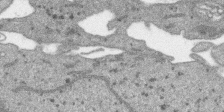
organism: Human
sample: Lung epithelial cells infected with SARS-CoV-2